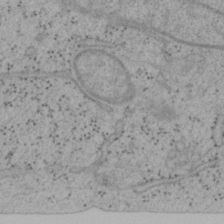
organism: Human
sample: HeLa cells